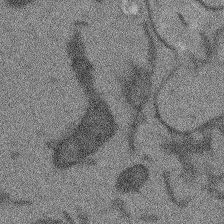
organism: Arabidopsis thaliana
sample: Root tip